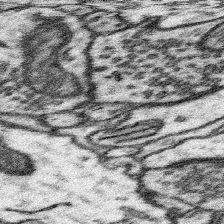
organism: Mouse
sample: Somatosensory cortex neuropil